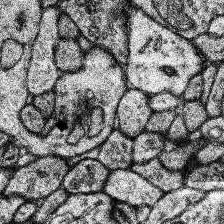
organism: Human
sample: Temporal Lobe